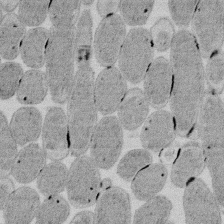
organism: E. coli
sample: Bacterial nucleoid